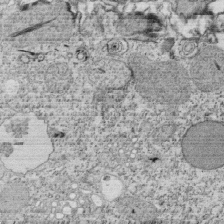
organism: Tetrahymena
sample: Cilia in tetrahymena